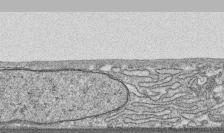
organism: Human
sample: CRL-1474